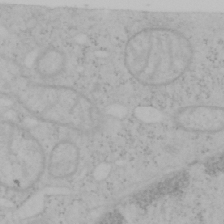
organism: Mouse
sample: OT-I killer T cells with ID8 ovarian cancer cells